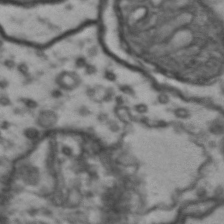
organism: Drosophila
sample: Brain